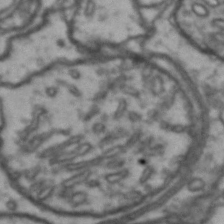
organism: Drosophila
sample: Brain